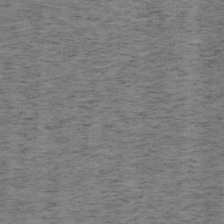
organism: Mouse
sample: OT-I killer T cells with ID8 ovarian cancer cells